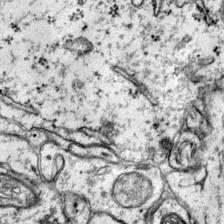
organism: Mouse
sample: Primary visual cortex